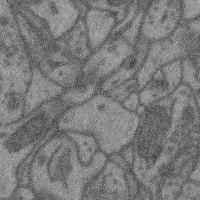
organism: Mouse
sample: Cerebral cortex